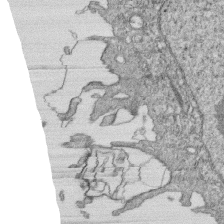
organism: Human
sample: HeLa cell HIV synapse